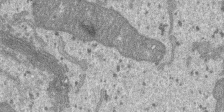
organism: Human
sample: Lung epithelial cells infected with SARS-CoV-2